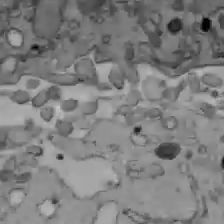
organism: C57BL Mouse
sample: Liver